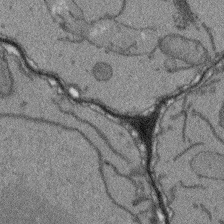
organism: Arabidopsis thaliana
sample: Root tip